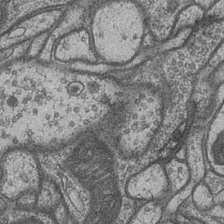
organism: Drosophila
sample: Optic medulla